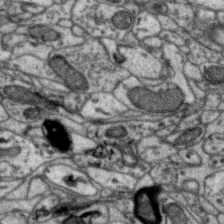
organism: Zebra finch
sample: Brain